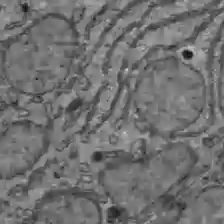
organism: C57BL Mouse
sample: Liver